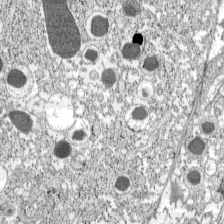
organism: C57BL Mouse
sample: Pancreatic islet